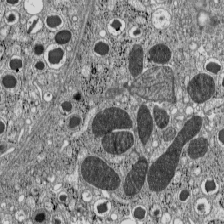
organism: C57BL Mouse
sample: Pancreatic islet